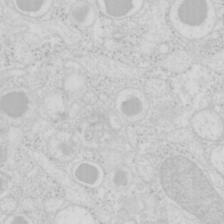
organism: Mouse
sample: Pancreas